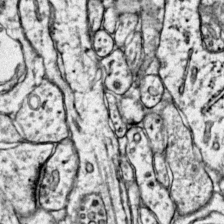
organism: Mouse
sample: Primary visual cortex